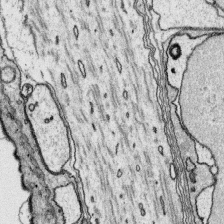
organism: Platynereis dumerilii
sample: Parapodia